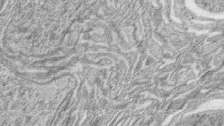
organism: Zebrafish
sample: synaptic ribbons in rod cells and cone cells